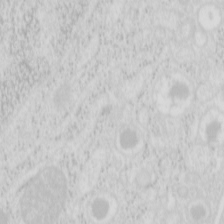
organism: Mouse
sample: Pancreas